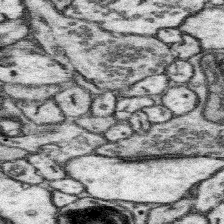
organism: Mouse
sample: Somatosensory cortex neuropil